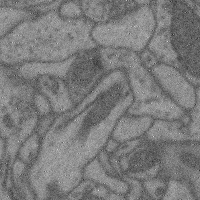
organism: Mouse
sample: Cerebral cortex